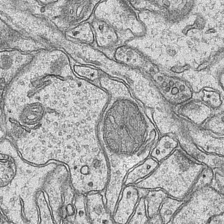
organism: Mouse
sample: CA1 Hippocampus